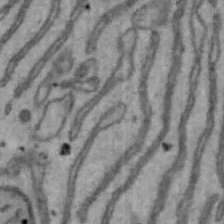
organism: Mouse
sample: Liver